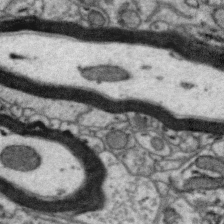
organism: Zebra finch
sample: Brain